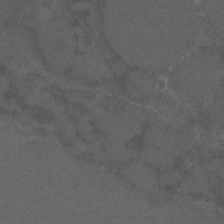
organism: C. elegans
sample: C. elegans embryo